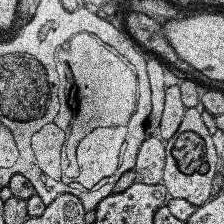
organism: Human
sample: Temporal Lobe